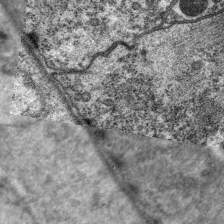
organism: C. elegans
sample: Pharynx